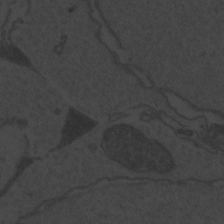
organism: Zebrafish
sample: Macrophage infected with Toxoplasma gondii